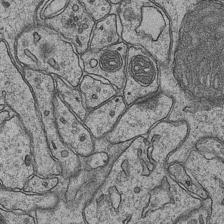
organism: Mouse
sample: CA1 Hippocampus